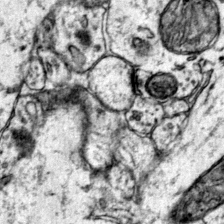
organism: Mouse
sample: Primary visual cortex